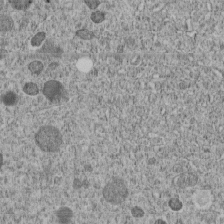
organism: C. elegans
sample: C. elegans embryo early stage